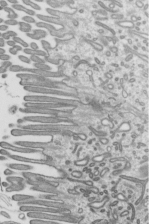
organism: Mouse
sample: Mouse epididymis efferent ductule cilia